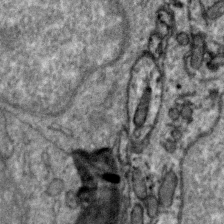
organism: Zebra finch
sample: Brain